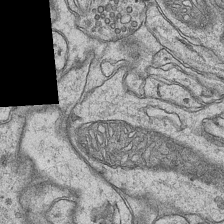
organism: Mouse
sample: CA1 Hippocampus